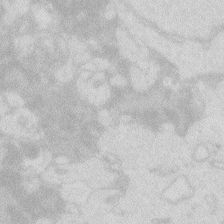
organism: Zebrafish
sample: Macrophage